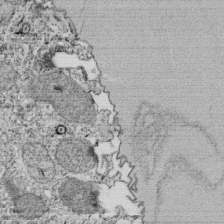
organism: Tetrahymena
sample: Cilia in tetrahymena